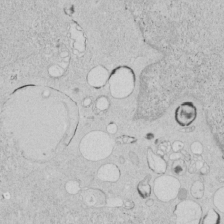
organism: Human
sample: Mitochondria in HCT116 cells